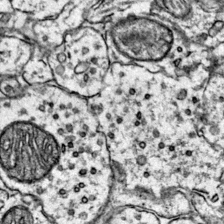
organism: Mouse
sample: Primary visual cortex